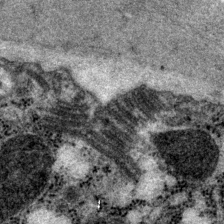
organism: P. pacificus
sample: Pharynx